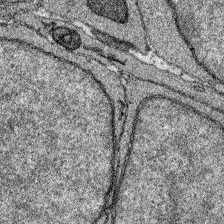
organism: Zebrafish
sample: Larval olfactory bulb